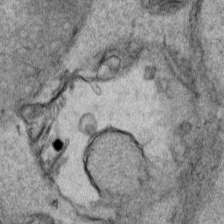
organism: Human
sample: Mitochondria in HCT116 cells